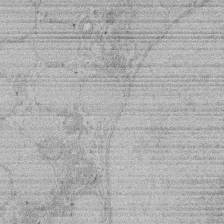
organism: Rat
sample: Salivary granule